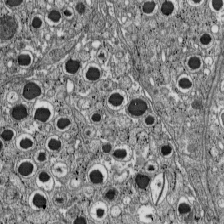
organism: C57BL Mouse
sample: Pancreatic islet